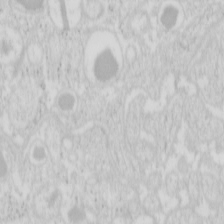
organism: Mouse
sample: Pancreas